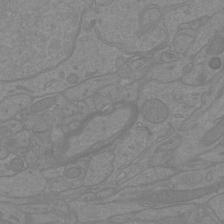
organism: Mouse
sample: Cortical neurons